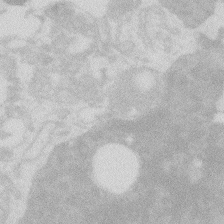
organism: Zebrafish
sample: Macrophage